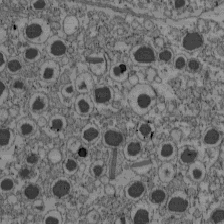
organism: C57BL Mouse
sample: Pancreatic islet